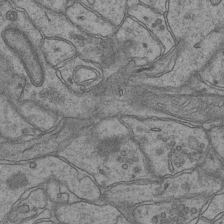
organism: Mouse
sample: CA1 Hippocampus